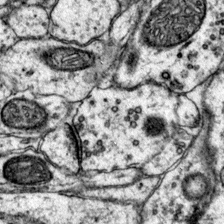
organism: Mouse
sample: Primary visual cortex